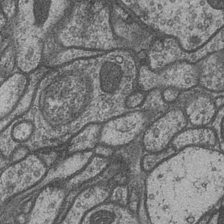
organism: Drosophila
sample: Optic medulla